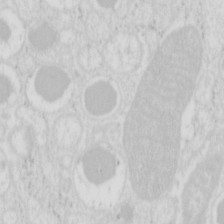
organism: Mouse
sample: Pancreas